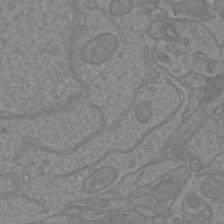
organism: Mouse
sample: Cortical neurons